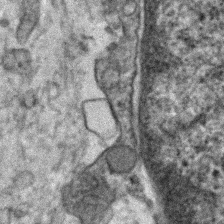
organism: Human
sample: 1205lu cells